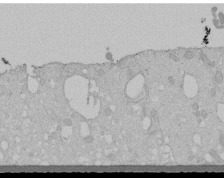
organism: Human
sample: Melanocyte Keratinocyte synapse skin construct